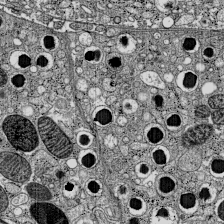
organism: C57BL Mouse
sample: Pancreatic islet